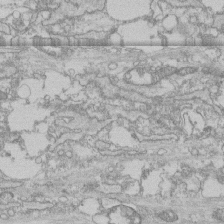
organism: Human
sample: CRL-1474